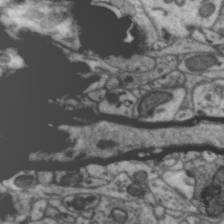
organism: Zebra finch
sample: Brain